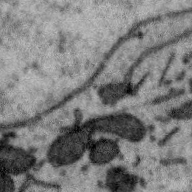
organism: Zebra finch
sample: Brain